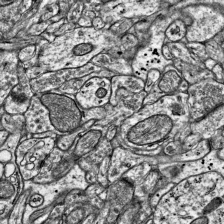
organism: Mouse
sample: Visual Cortex